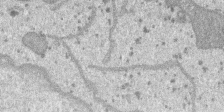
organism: Human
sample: Lung epithelial cells infected with SARS-CoV-2